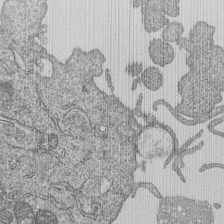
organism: Human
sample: MDA-MB-231 cells